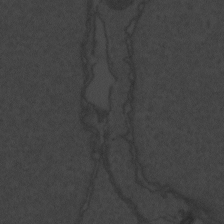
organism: Zebrafish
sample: Macrophage infected with Toxoplasma gondii